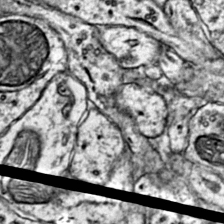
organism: Mouse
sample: Primary visual cortex